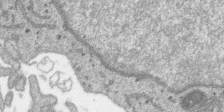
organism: Human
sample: Lung epithelial cells infected with SARS-CoV-2